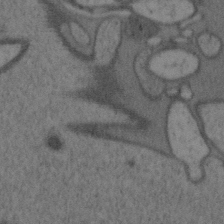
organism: Human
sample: HeLa cells